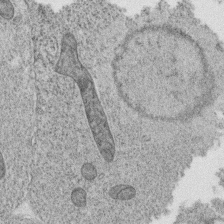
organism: C. elegans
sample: C. elegans oocyte; sperm cells